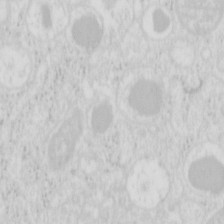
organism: Mouse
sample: Pancreas